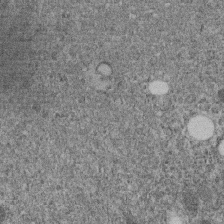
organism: C. elegans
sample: C. elegans embryo early stage